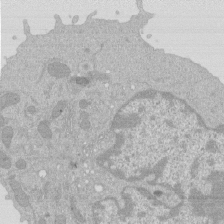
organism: Mouse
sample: Activated Pmel transgenic CD8+ T Cells